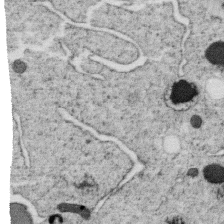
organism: C. elegans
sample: C. elegans oocyte; sperm cells